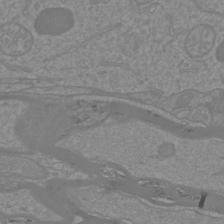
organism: Mouse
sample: Cortical neurons